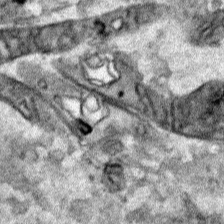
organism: Human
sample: Mitochondria in HCT116 cells